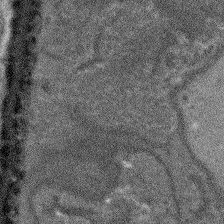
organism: Arabidopsis thaliana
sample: Root tip